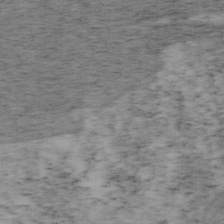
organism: Mouse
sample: OT-I killer T cells with ID8 ovarian cancer cells